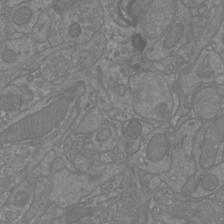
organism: Mouse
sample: Cortical neurons